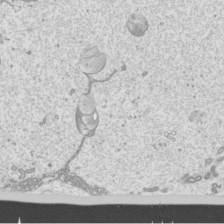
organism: Mouse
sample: Cilia; mouse epididymis